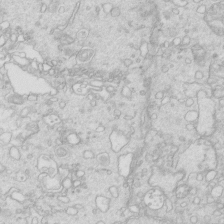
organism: Mouse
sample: Multiciliated cells